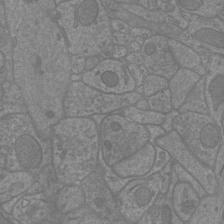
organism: Mouse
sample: Cortical neurons